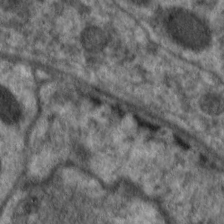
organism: C. elegans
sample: Pharynx